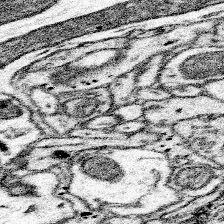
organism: Mouse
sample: Somatosensory cortex neuropil